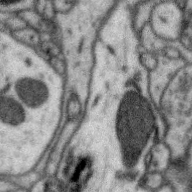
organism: Zebra finch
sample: Brain